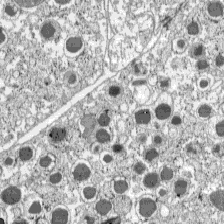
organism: C57BL Mouse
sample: Pancreatic islet